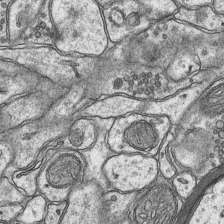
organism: Mouse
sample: CA1 Hippocampus